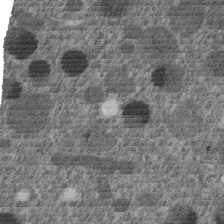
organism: C. elegans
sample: C. elegans embryo early stage